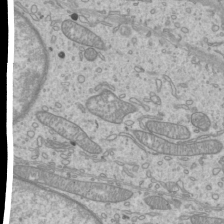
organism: Mouse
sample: Cilia; mouse epididymis